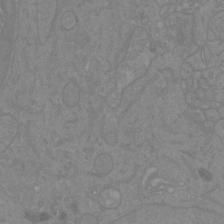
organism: Mouse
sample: Cortical neurons